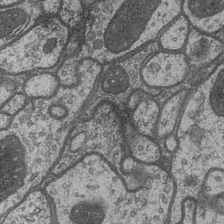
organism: Drosophila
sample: Optic medulla